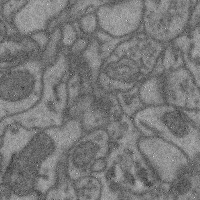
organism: Mouse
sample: Cerebral cortex